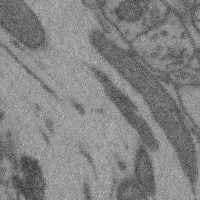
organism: Mouse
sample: Cerebral cortex